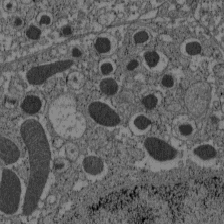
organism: C57BL Mouse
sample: Pancreatic islet